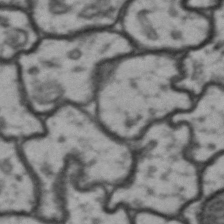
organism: Drosophila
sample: Brain